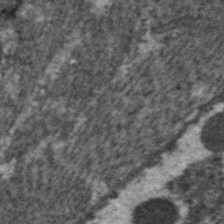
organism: C. elegans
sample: Pharynx